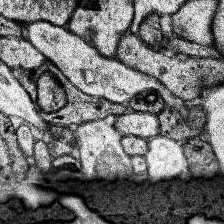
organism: Human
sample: Temporal Lobe